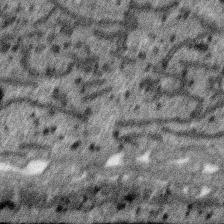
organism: Human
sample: Lung epithelial cells infected with SARS-CoV-2